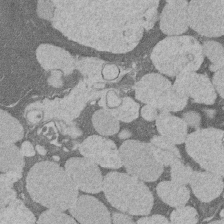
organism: Rat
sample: Salivary granule